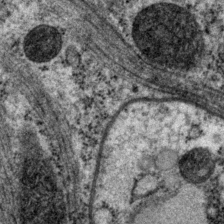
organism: P. pacificus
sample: Pharynx